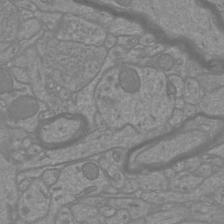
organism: Mouse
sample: Cortical neurons